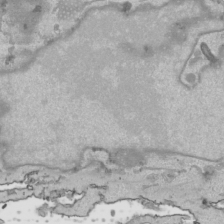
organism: Human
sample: Mitochondria in HCT116 cells